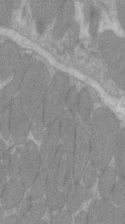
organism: C57BL Mouse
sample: Tibialis anterior muscle cell